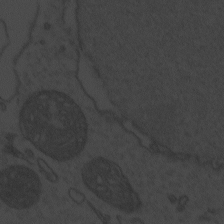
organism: Zebrafish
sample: Macrophage infected with Toxoplasma gondii